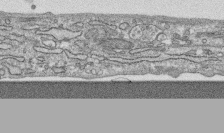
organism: Human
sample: CRL-1474